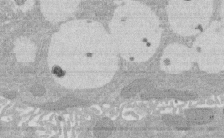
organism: Rat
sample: Salivary granule